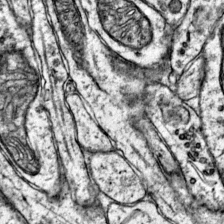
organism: Mouse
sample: Primary visual cortex